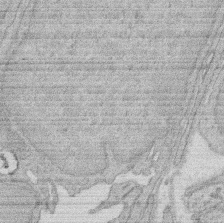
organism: Rat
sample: Salivary granule